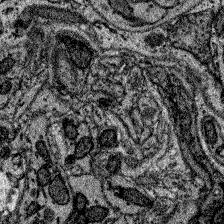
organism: Zebrafish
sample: Larval olfactory bulb